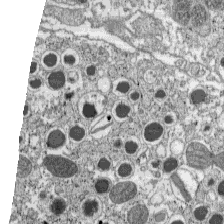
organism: C57BL Mouse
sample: Pancreatic islet